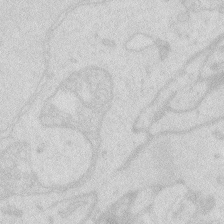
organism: Zebrafish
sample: Macrophage